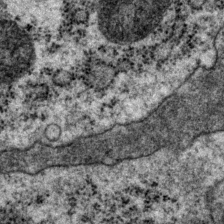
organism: P. pacificus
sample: Pharynx